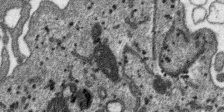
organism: Human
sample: Lung epithelial cells infected with SARS-CoV-2